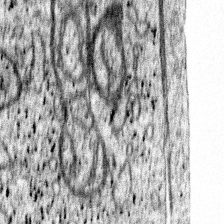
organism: Human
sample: HeLa cells